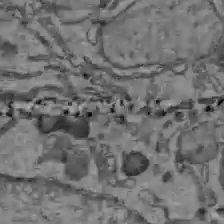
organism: C57BL Mouse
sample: Liver